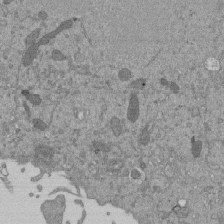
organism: Mouse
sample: ED-1 cell nuclei; centrioles